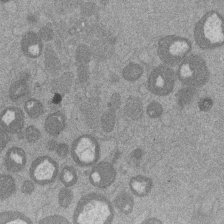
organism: Mouse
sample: Dividing mouse embryo 1 cell stage